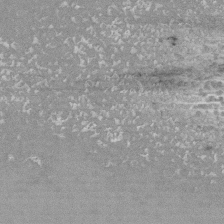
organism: Human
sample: CRL-1474